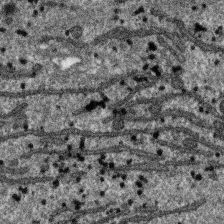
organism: Human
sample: Lung epithelial cells infected with SARS-CoV-2